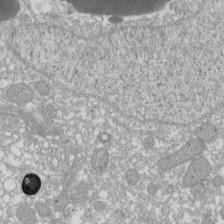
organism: Xenopus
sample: Cilia; centrioles in frog embryo cells